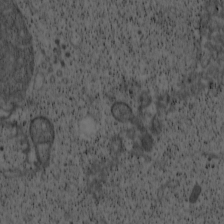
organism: African green monkey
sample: COS-7 cells